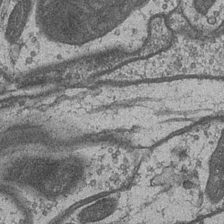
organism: Drosophila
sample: Optic medulla